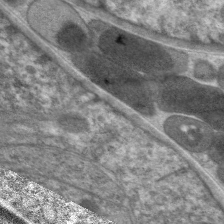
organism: C. elegans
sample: Pharynx